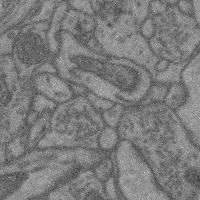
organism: Mouse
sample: Cerebral cortex